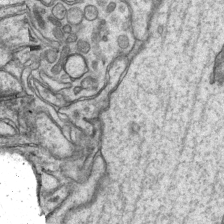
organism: Mouse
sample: CA1 Hippocampus